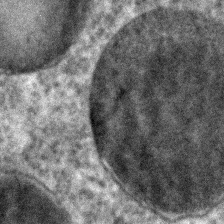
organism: C. elegans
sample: C. elegans embryo